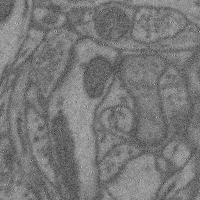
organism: Mouse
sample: Cerebral cortex